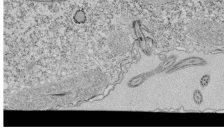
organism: Tetrahymena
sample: Cilia in tetrahymena